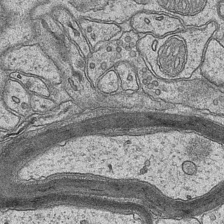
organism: Mouse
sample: CA1 Hippocampus